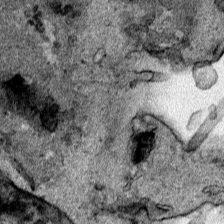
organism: Human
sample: Mitochondria in HCT116 cells